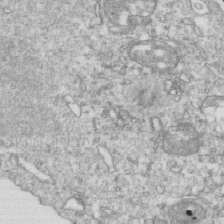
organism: Mouse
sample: Activated OT-1 CD8+ T cells